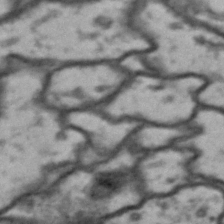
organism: Drosophila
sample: Brain